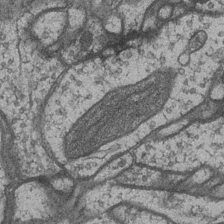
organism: Drosophila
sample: Optic medulla